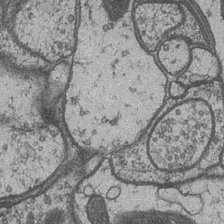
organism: Drosophila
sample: Optic medulla